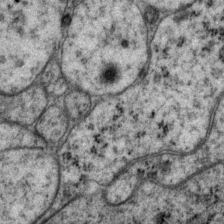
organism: P. pacificus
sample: Pharynx